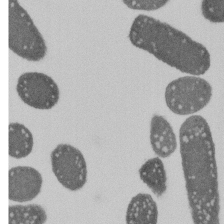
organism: E. coli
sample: Bacterial nucleoid